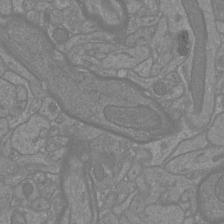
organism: Mouse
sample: Cortical neurons